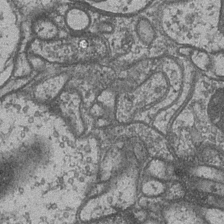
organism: Drosophila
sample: Optic medulla